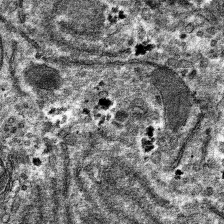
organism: Mouse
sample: Mouse hepatocytes